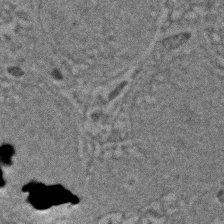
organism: Zebrafish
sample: Zebrafish embryo